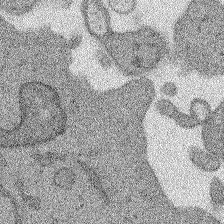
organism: Human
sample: HeLa cells